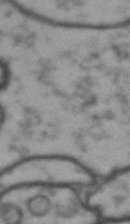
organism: Drosophila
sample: Brain